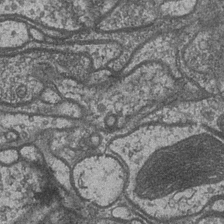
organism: Drosophila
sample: Optic medulla